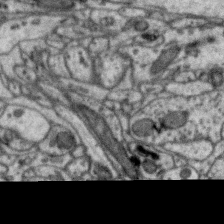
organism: Zebra finch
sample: Brain